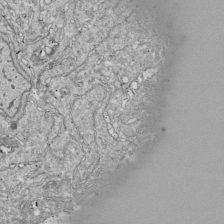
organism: Drosophila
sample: Cell division; meiosis; drosophila spermatocytes